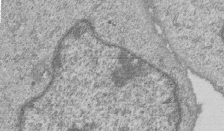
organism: Human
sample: MDA-MB-231 cells